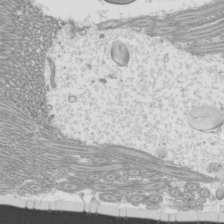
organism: Mouse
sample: Cilia; mouse epididymis